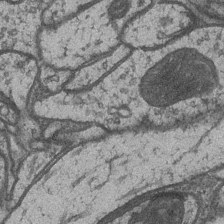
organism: Drosophila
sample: Optic medulla